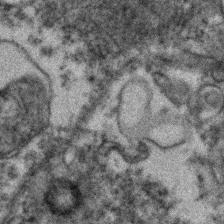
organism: Zebrafish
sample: Zebrafish embryo